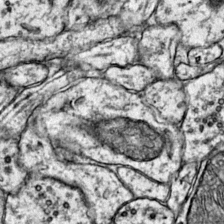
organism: Mouse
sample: Primary visual cortex